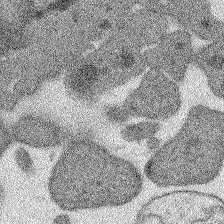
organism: Human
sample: HeLa cells